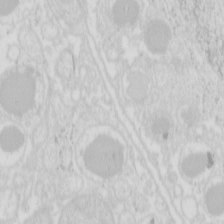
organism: Mouse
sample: Pancreas